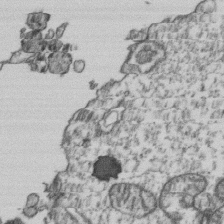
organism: Human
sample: Activated Jurkat CD4+ T cells